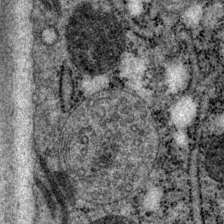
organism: P. pacificus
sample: Pharynx